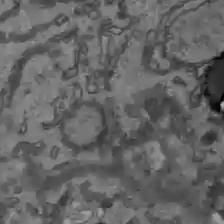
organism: C57BL Mouse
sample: Liver